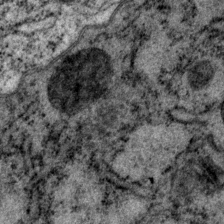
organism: P. pacificus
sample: Pharynx